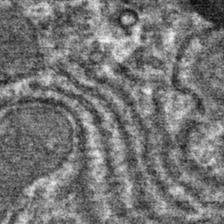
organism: Mouse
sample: Mouse hepatocytes